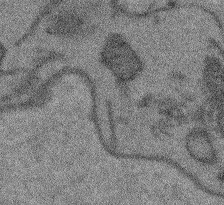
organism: Arabidopsis thaliana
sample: Root tip